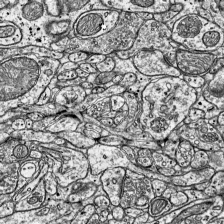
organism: Mouse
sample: Visual Cortex